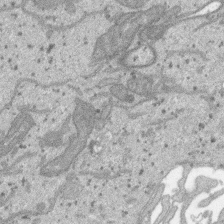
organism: Human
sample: Lung epithelial cells infected with SARS-CoV-2